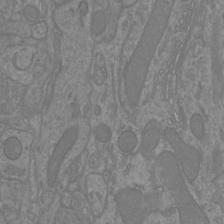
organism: Mouse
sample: Cortical neurons